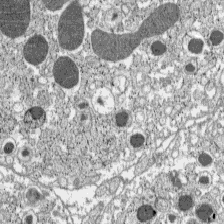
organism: C57BL Mouse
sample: Pancreatic islet